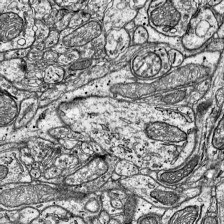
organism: Mouse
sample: Visual Cortex